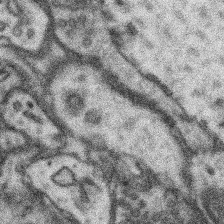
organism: Mouse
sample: Somatosensory cortex neuropil